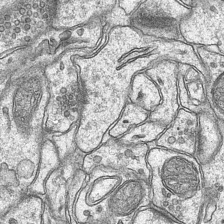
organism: Mouse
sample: CA1 Hippocampus